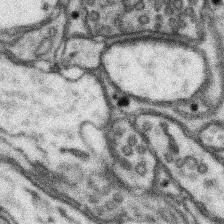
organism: Mouse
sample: Somatosensory cortex neuropil